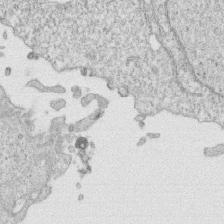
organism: Human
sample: HeLa cell HIV synapse